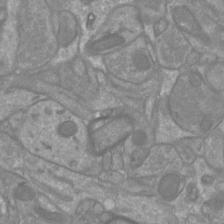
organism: Mouse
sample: Cortical neurons